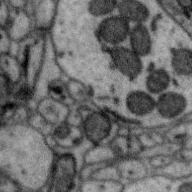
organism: Zebra finch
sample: Brain